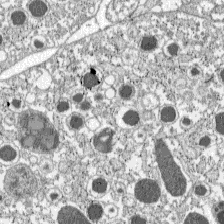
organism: C57BL Mouse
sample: Pancreatic islet